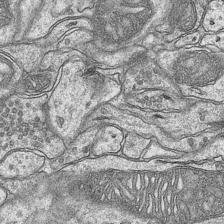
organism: Mouse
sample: CA1 Hippocampus